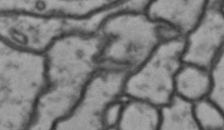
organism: Drosophila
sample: Brain